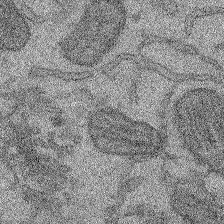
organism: Human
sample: HeLa cells